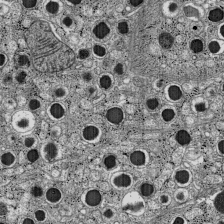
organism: C57BL Mouse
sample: Pancreatic islet